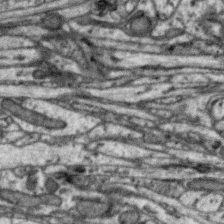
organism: Zebra finch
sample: Brain